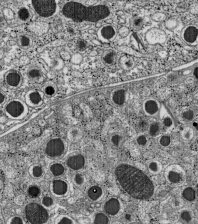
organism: C57BL Mouse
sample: Pancreatic islet